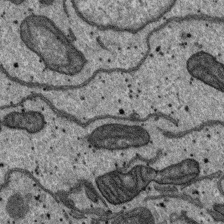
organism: Human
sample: Lung epithelial cells, uninfected (mock) control